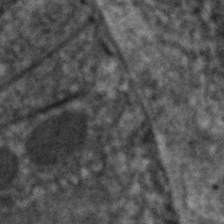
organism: C. elegans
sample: Pharynx